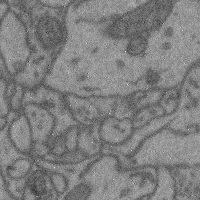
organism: Mouse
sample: Cerebral cortex